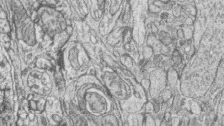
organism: Zebrafish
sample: synaptic ribbons in rod cells and cone cells